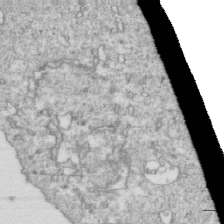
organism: Mouse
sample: Activated OT-1 CD8+ T cells